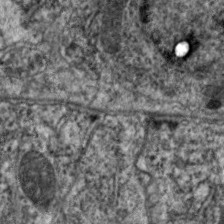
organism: C. elegans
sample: Pharynx